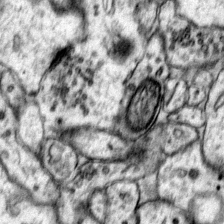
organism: Mouse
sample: Primary visual cortex